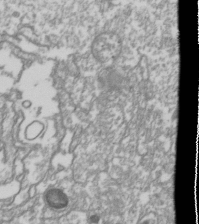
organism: Drosophila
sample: Cell division; meiosis; drosophila spermatocytes